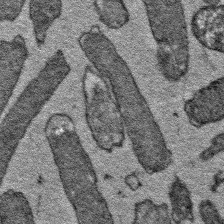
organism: E. coli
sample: E. Coli Bacteria